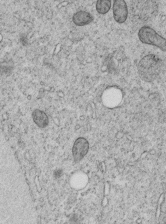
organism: C. elegans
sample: C. elegans embryo early stage